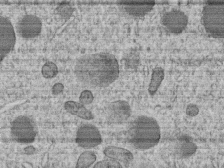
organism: C. elegans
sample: C. elegans embryo early stage